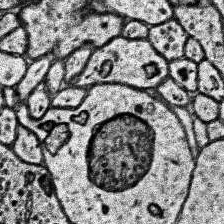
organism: Human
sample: Temporal Lobe